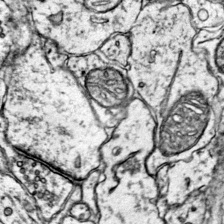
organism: Mouse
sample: Primary visual cortex